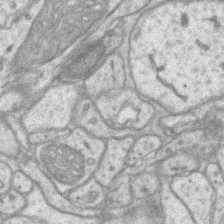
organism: Mouse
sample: CA1 Hippocampus